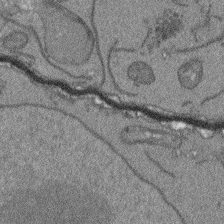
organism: Arabidopsis thaliana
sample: Root tip